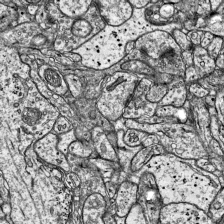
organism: Mouse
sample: Visual Cortex